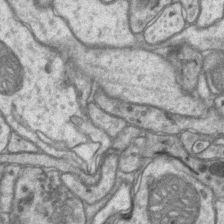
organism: Mouse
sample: CA1 Hippocampus